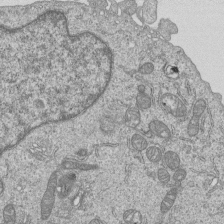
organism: Human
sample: MDA-MB-231 cells